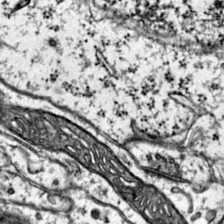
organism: Mouse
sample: Primary visual cortex